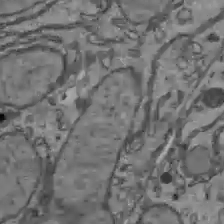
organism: C57BL Mouse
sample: Liver